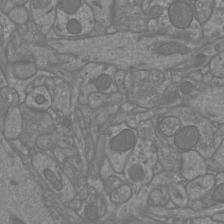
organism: Mouse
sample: Cortical neurons